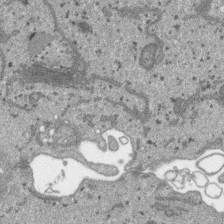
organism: Human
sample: Lung epithelial cells infected with SARS-CoV-2